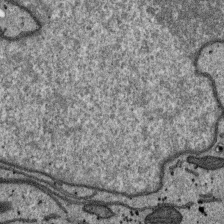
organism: Human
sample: Lung epithelial cells, uninfected (mock) control